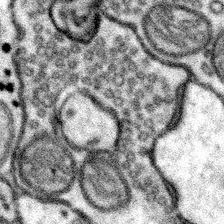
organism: Mouse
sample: Somatosensory cortex neuropil